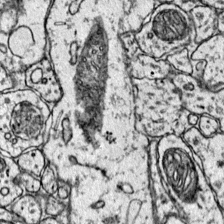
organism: Mouse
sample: Primary visual cortex